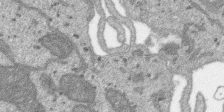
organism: Human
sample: Lung epithelial cells infected with SARS-CoV-2